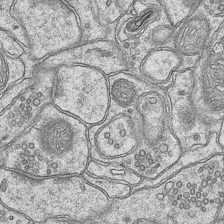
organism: Mouse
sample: CA1 Hippocampus